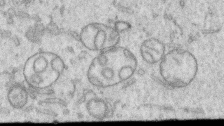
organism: Human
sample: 1205lu cells